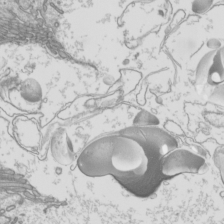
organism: Mouse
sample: Cilia; mouse epididymis